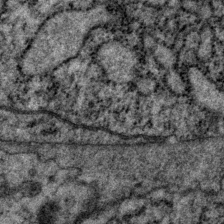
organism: P. pacificus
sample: Pharynx